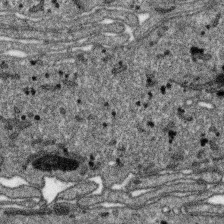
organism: Human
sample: Lung epithelial cells infected with SARS-CoV-2